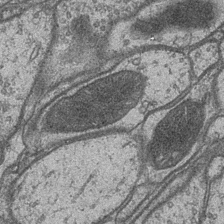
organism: Drosophila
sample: Optic medulla